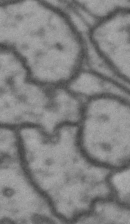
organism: Drosophila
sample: Brain